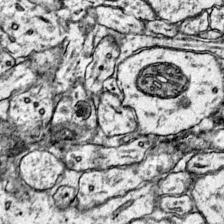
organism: Mouse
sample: Primary visual cortex